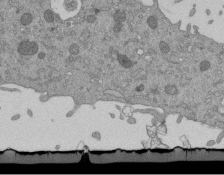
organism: Mouse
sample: ED-1 cell nuclei; centrioles